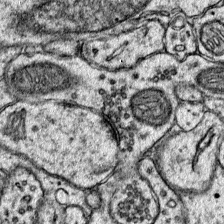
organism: Mouse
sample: Primary visual cortex